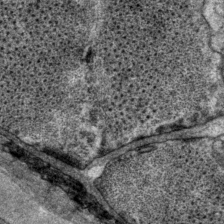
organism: P. pacificus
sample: Pharynx